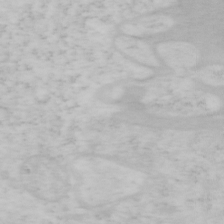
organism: Mouse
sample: OT-I killer T cells with ID8 ovarian cancer cells